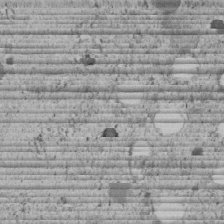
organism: C. elegans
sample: C. elegans embryo early stage